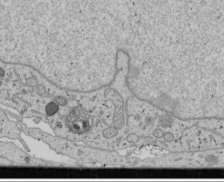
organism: Human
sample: Mitochondria in U2OS cells